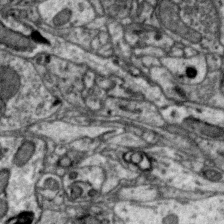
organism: Zebra finch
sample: Brain